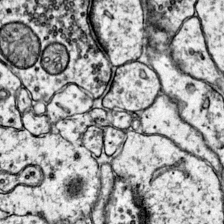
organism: Mouse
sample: Primary visual cortex